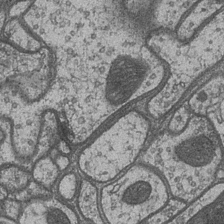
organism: Drosophila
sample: Optic medulla